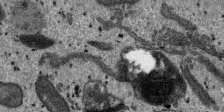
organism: Human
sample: Lung epithelial cells, uninfected (mock) control